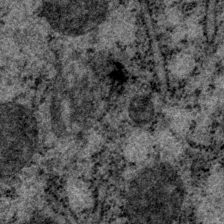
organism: P. pacificus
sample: Pharynx